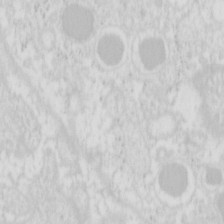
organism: Mouse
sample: Pancreas